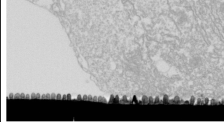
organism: Drosophila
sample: Cell division; meiosis; drosophila spermatocytes